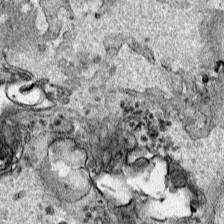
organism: Human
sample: Mitochondria in HCT116 cells